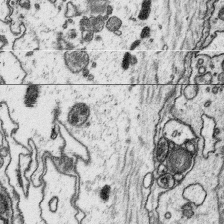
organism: Platynereis dumerilii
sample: Parapodia